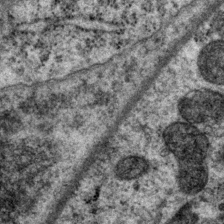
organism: P. pacificus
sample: Pharynx